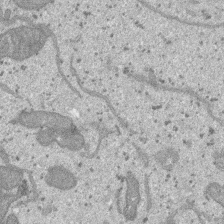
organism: Human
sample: Lung epithelial cells infected with SARS-CoV-2